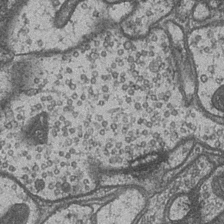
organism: Drosophila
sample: Optic medulla